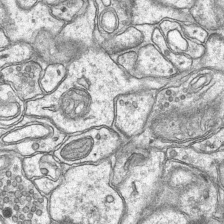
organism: Mouse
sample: CA1 Hippocampus